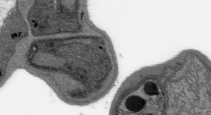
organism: Plasmodium falciparum